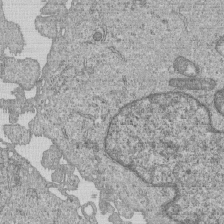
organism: Human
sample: MDA-MB-231 cells